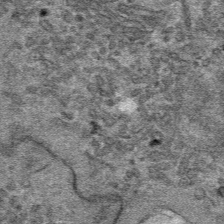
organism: Mouse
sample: Mouse hepatocytes